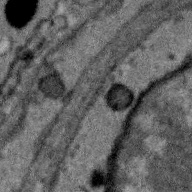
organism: Zebra finch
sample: Brain